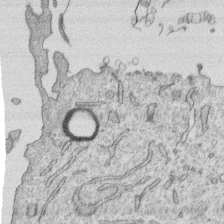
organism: Human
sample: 1205lu cells